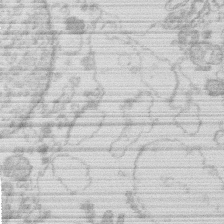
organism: Human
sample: Macrophage cells